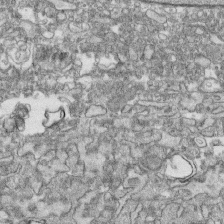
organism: Human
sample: CRL-1474